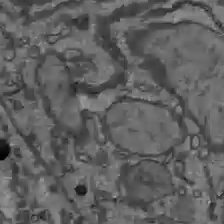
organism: C57BL Mouse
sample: Liver